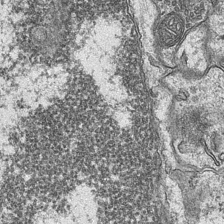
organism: Mouse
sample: CA1 Hippocampus